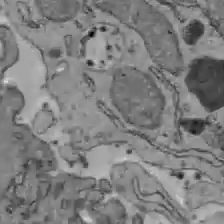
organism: C57BL Mouse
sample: Liver